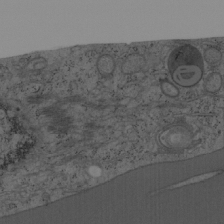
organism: Human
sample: HeLa cells